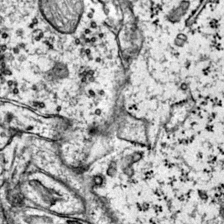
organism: Mouse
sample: Primary visual cortex